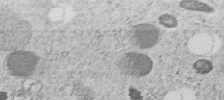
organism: C. elegans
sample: C. elegans embryo early stage